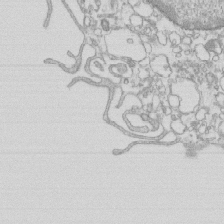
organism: Mouse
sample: Macrophages